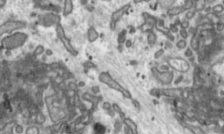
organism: Toxoplasma gondii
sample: Parasites in a vacuole inside a host cell